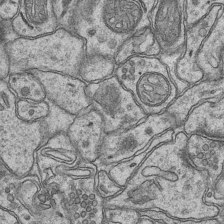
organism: Mouse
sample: CA1 Hippocampus